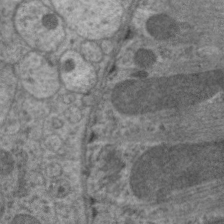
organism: C. elegans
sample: Pharynx